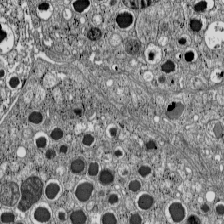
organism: C57BL Mouse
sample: Pancreatic islet